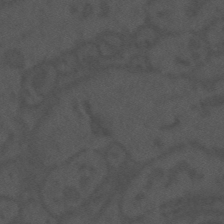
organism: Mouse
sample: Suprachiasmatic nucleus